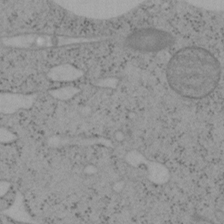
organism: Mouse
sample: OT-I killer T cells with ID8 ovarian cancer cells